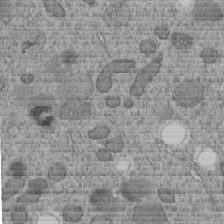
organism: C. elegans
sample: C. elegans embryo early stage